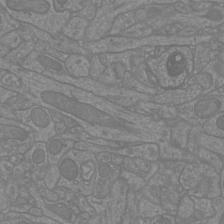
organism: Mouse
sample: Cortical neurons